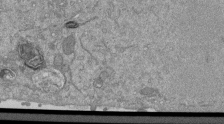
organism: Mouse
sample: ED-1 cell nuclei; centrioles